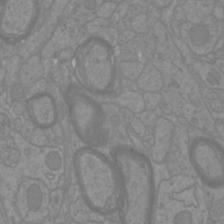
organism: Mouse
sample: Cortical neurons